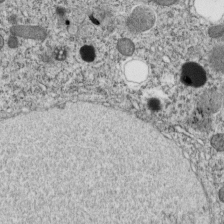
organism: C. elegans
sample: C. elegans embryo early stage